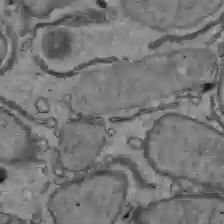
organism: C57BL Mouse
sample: Liver